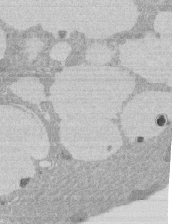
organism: Rat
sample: Salivary granule